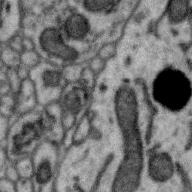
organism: Zebra finch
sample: Brain